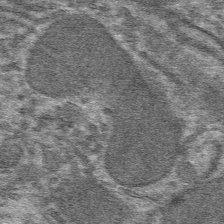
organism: Mouse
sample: Mouse hepatocytes